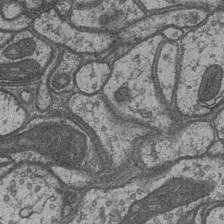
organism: Drosophila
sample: Optic medulla